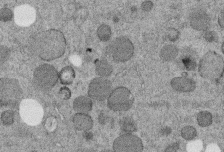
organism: C. elegans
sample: C. elegans embryo early stage